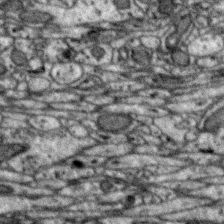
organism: Zebra finch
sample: Brain